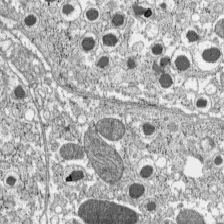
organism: C57BL Mouse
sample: Pancreatic islet